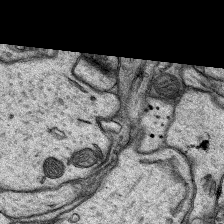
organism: Rat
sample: Hippocampus